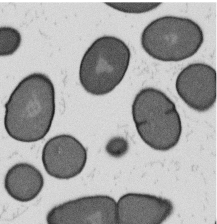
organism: B. subtilis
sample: Bacterial spore